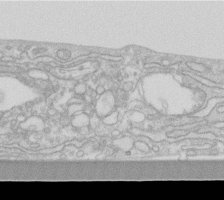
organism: Human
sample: Fibroblast cells